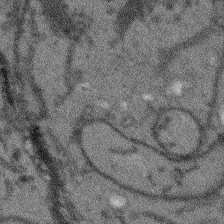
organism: Arabidopsis thaliana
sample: Root tip